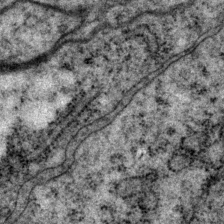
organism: P. pacificus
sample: Pharynx